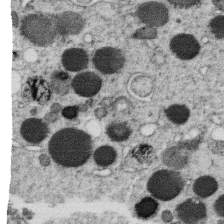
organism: C. elegans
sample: C. elegans oocyte; sperm cells